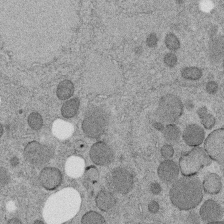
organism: C. elegans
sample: C. elegans embryo early stage